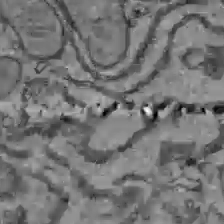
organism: C57BL Mouse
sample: Liver